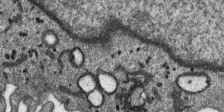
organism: Human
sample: Lung epithelial cells infected with SARS-CoV-2